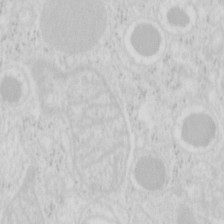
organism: Mouse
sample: Pancreas